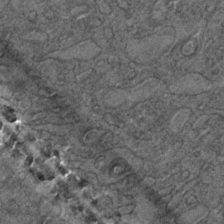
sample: Trachea